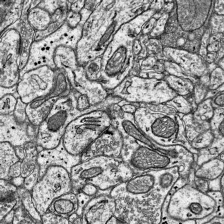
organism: Mouse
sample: Visual Cortex